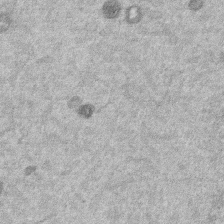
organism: Mouse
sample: Dividing mouse embryo 1 cell stage